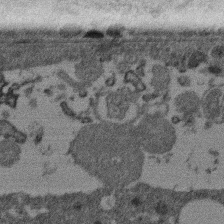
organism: Mouse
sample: Dividing mouse embryo 1 cell stage